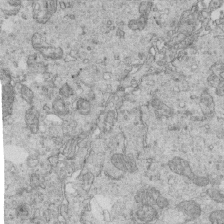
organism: Mouse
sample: Multiciliated cells